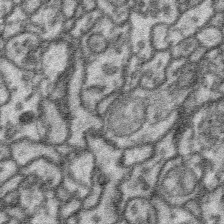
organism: Platynereis dumerilii